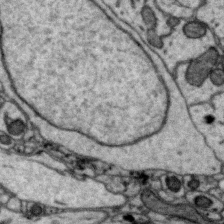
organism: Zebra finch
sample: Brain